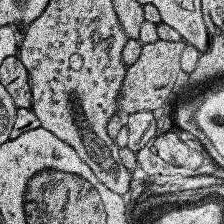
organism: Human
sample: Temporal Lobe